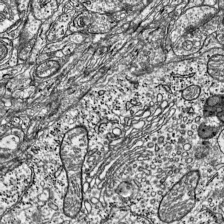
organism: Mouse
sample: Visual Cortex